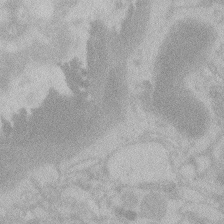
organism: Zebrafish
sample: Macrophage infected with Toxoplasma gondii